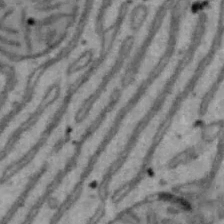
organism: Mouse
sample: Liver